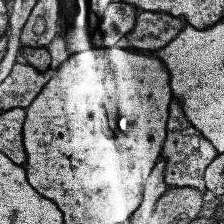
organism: Human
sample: Temporal Lobe